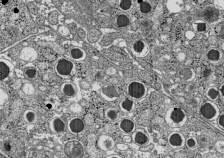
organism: C57BL Mouse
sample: Pancreatic islet